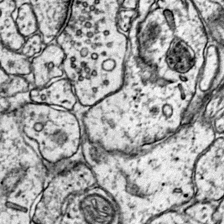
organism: Mouse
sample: Primary visual cortex